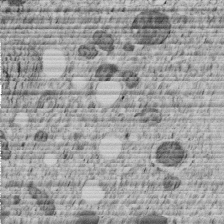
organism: C. elegans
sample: C. elegans embryo early stage